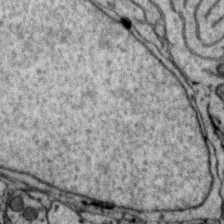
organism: Zebra finch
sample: Brain